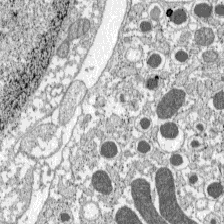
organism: C57BL Mouse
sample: Pancreatic islet